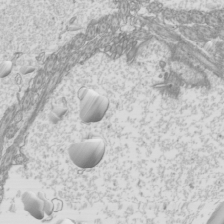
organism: Mouse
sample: Cilia; mouse epididymis